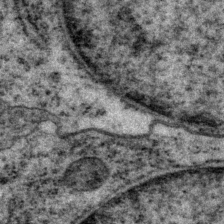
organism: P. pacificus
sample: Pharynx